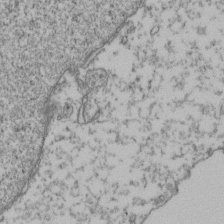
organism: Human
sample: Activated Jurkat CD4+ T cells